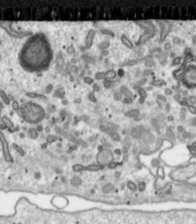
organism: Toxoplasma gondii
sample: Parasites in a vacuole inside a host cell